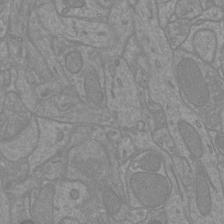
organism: Mouse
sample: Cortical neurons